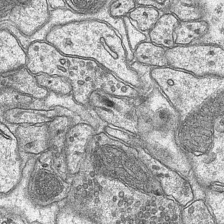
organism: Mouse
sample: CA1 Hippocampus